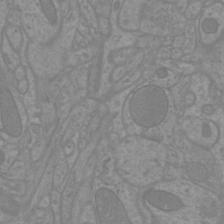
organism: Mouse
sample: Cortical neurons